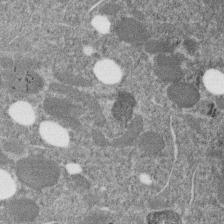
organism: C. elegans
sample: C. elegans embryo early stage